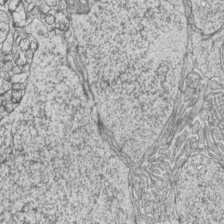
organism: Zebrafish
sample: synaptic ribbons in rod cells and cone cells